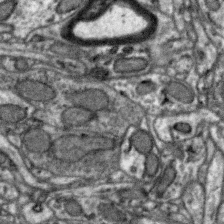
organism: Zebra finch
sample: Brain